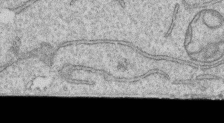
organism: Human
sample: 1205lu cells